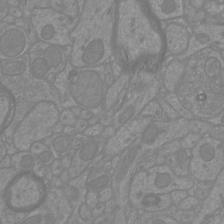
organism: Mouse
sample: Cortical neurons